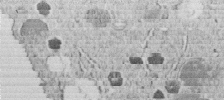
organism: C. elegans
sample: C. elegans embryo early stage